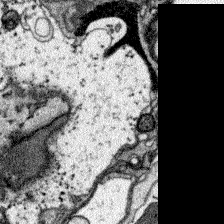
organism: Zebrafish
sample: Larval olfactory bulb